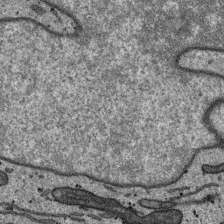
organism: Human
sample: Lung epithelial cells, uninfected (mock) control